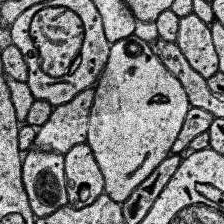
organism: Human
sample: Temporal Lobe